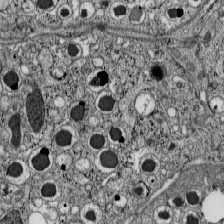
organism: C57BL Mouse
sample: Pancreatic islet